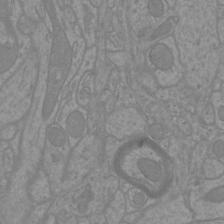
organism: Mouse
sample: Cortical neurons